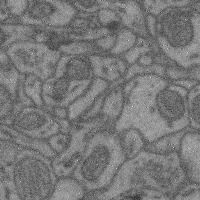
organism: Mouse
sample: Cerebral cortex